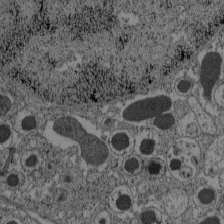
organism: C57BL Mouse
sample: Pancreatic islet